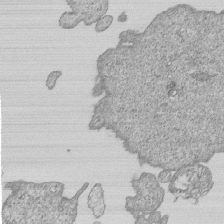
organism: Human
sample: MDA-MB-231 cells